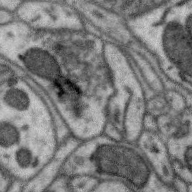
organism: Zebra finch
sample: Brain